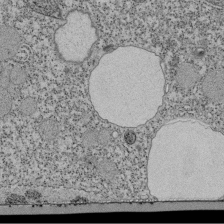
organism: Tetrahymena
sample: Cilia in tetrahymena